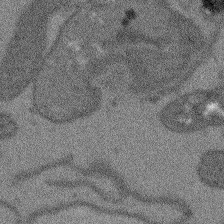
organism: Arabidopsis thaliana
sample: Root tip